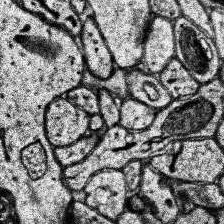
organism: Human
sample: Temporal Lobe